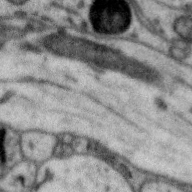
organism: Zebra finch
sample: Brain